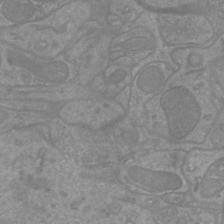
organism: Mouse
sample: Cortical neurons